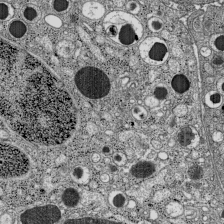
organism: C57BL Mouse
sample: Pancreatic islet